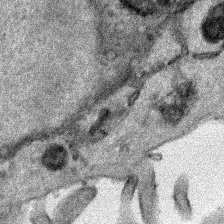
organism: Human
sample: Mitochondria in HCT116 cells